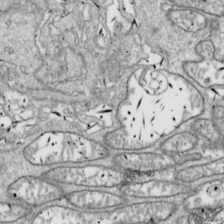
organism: Drosophila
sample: Cell division; meiosis; drosophila spermatocytes